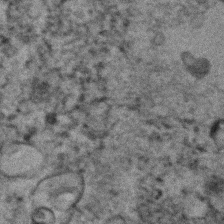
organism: Human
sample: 1205lu cells